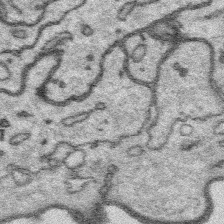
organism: Platynereis dumerilii